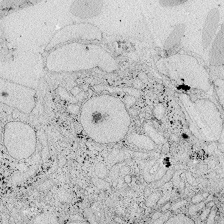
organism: Zebrafish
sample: Whole-Brain